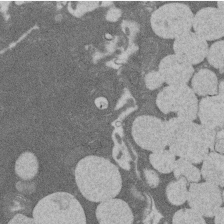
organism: Rat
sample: Salivary granule